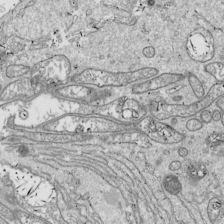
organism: Drosophila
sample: Cell division; meiosis; drosophila spermatocytes